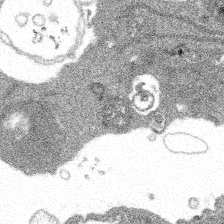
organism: Spongilla lacustris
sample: Multiple